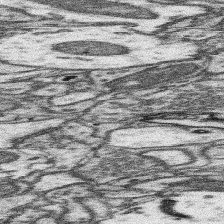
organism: Mouse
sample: Somatosensory cortex neuropil